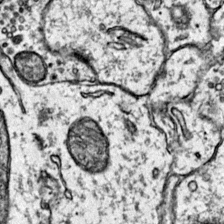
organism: Mouse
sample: Primary visual cortex